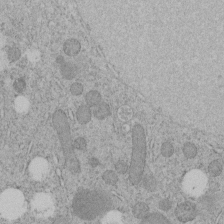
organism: C. elegans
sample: C. elegans embryo early stage